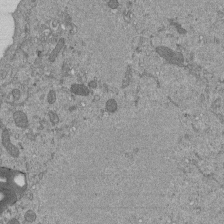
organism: Mouse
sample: ED-1 cell nuclei; centrioles